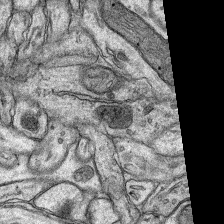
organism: Rat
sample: Hippocampus